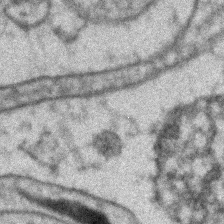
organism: Zebrafish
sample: Zebrafish embryo